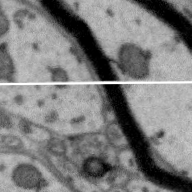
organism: Zebra finch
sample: Brain